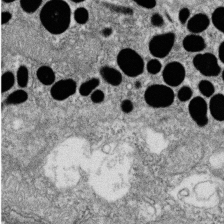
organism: Zebrafish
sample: Cilia; retinal pigment epithelium